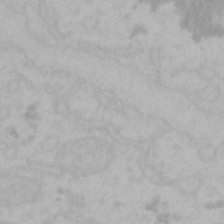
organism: Mouse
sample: Choroid plexus